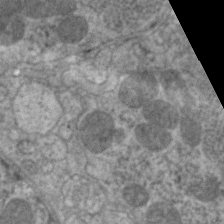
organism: C. elegans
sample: Pharynx